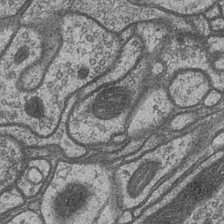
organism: Drosophila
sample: Optic medulla